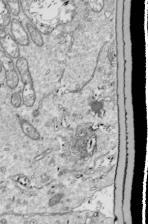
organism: Drosophila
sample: Cell division; meiosis; drosophila spermatocytes